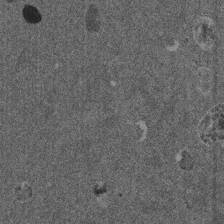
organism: Mouse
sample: Dividing mouse embryo 1 cell stage